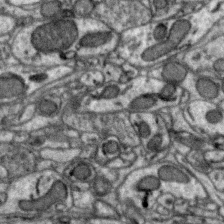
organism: Zebra finch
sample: Brain